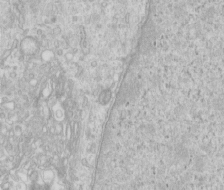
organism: Human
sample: Centriole in RPE cells